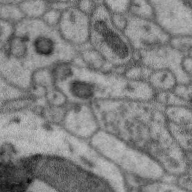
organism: Zebra finch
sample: Brain